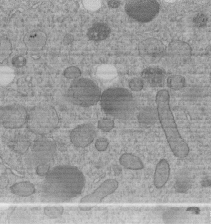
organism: C. elegans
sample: C. elegans embryo early stage